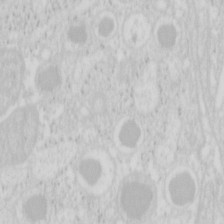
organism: Mouse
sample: Pancreas